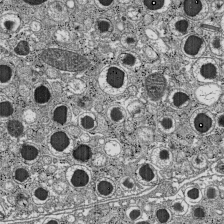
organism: C57BL Mouse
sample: Pancreatic islet